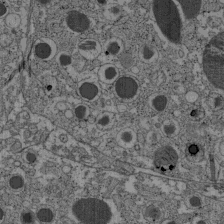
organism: C57BL Mouse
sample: Pancreatic islet